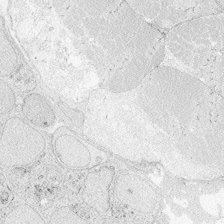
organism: Zebrafish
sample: Whole-Brain